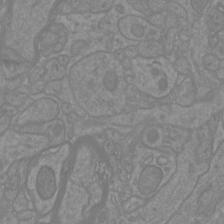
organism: Mouse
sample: Cortical neurons